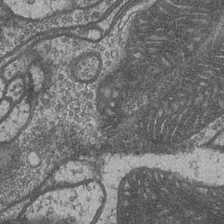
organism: Drosophila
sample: Optic medulla